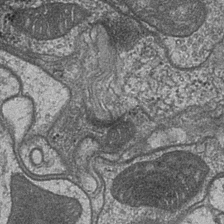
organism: Drosophila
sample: Optic medulla